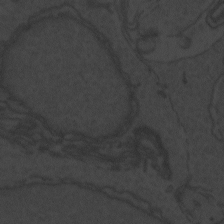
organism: Zebrafish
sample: Macrophage infected with Toxoplasma gondii